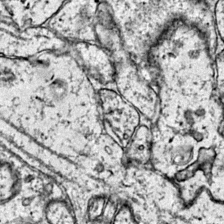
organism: Mouse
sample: Primary visual cortex